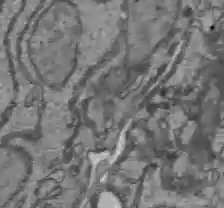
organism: C57BL Mouse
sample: Liver